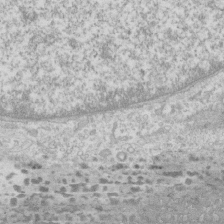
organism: Human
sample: CRL-1474